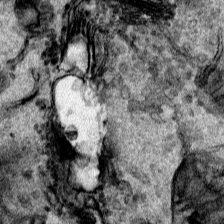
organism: Human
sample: Mitochondria in HCT116 cells